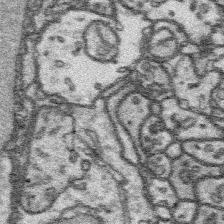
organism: Platynereis dumerilii